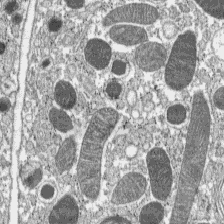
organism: C57BL Mouse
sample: Pancreatic islet